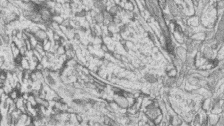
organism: Zebrafish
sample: synaptic ribbons in rod cells and cone cells